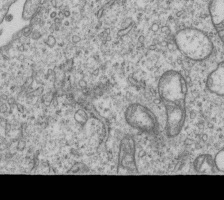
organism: Human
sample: MDA-MB-231 cells